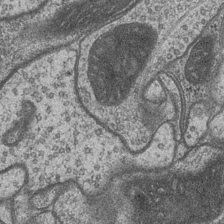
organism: Drosophila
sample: Optic medulla